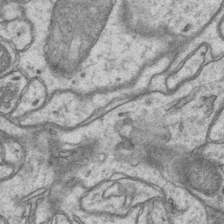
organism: Mouse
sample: CA1 Hippocampus